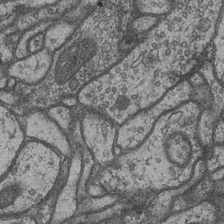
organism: Drosophila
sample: Optic medulla